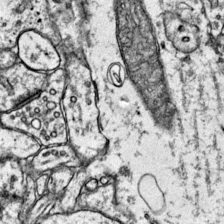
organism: Mouse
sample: Primary visual cortex